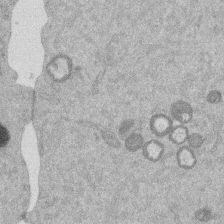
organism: Mouse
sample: Dividing mouse embryo 1 cell stage